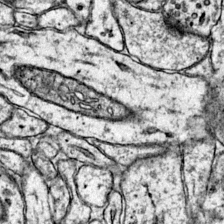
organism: Mouse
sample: Primary visual cortex